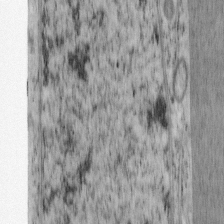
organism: Human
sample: HeLa cells